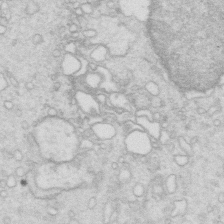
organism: Mouse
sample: Multiciliated cells